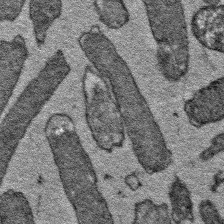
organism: E. coli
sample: E. Coli Bacteria